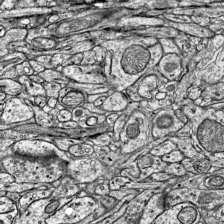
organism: Mouse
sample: Visual Cortex